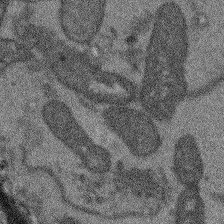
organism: Arabidopsis thaliana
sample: Root tip